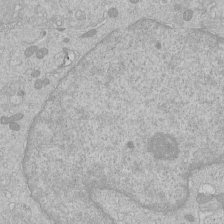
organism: Human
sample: Macrophage cells